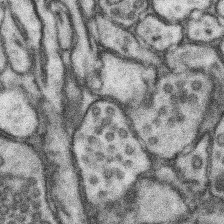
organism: Mouse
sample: Somatosensory cortex neuropil